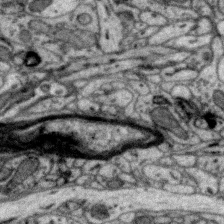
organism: Zebra finch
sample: Brain